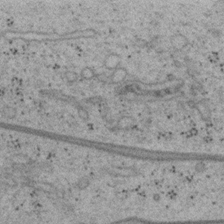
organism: Human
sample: HeLa cells